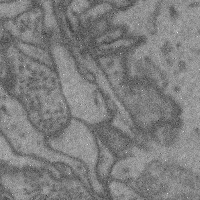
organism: Mouse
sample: Cerebral cortex